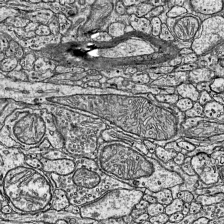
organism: Mouse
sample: Visual Cortex